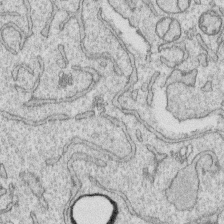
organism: Human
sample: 1205lu cells